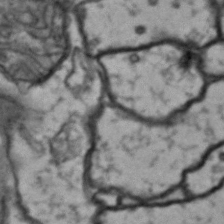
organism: Drosophila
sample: Brain